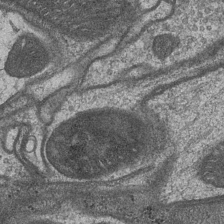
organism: Drosophila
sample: Optic medulla